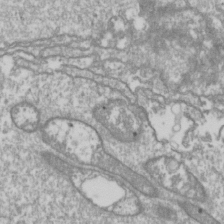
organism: Drosophila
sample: Cell division; meiosis; drosophila spermatocytes